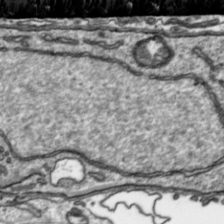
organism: Toxoplasma gondii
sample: Parasites in a vacuole inside a host cell